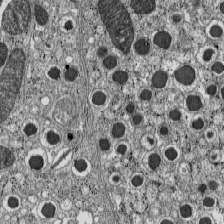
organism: C57BL Mouse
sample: Pancreatic islet